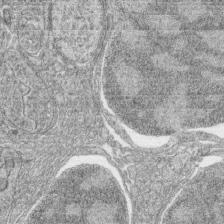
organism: Zebrafish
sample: synaptic ribbons in rod cells and cone cells